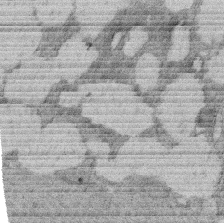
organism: Rat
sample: Salivary granule